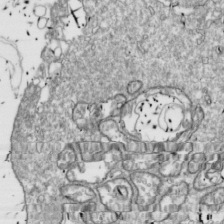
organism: Drosophila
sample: Cell division; meiosis; drosophila spermatocytes